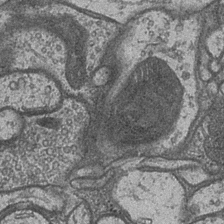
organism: Drosophila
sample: Optic medulla